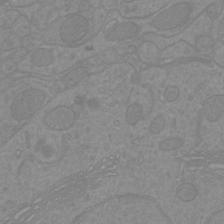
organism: Mouse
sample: Cortical neurons